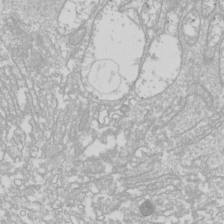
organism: Drosophila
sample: Cell division; meiosis; drosophila spermatocytes